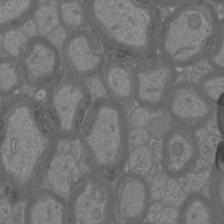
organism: Mouse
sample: Cortical neurons